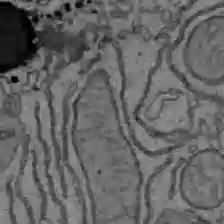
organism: C57BL Mouse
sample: Liver